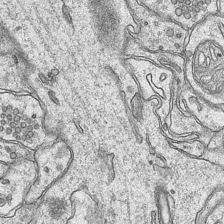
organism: Mouse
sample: CA1 Hippocampus